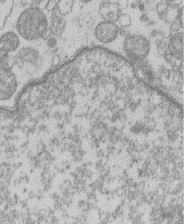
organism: Human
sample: Macrophage cells